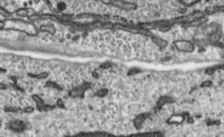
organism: Toxoplasma gondii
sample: Parasites in a vacuole inside a host cell